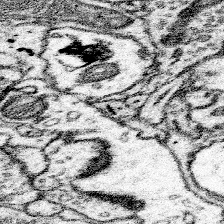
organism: Mouse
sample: Somatosensory cortex neuropil